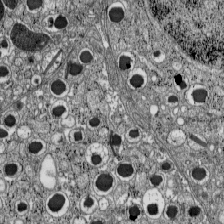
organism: C57BL Mouse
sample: Pancreatic islet